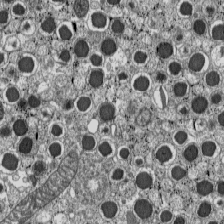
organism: C57BL Mouse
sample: Pancreatic islet